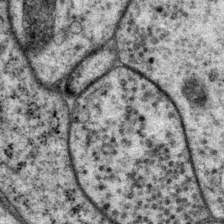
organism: P. pacificus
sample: Pharynx